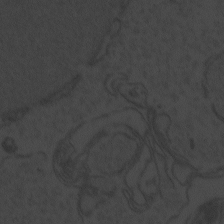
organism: Zebrafish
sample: Macrophage infected with Toxoplasma gondii